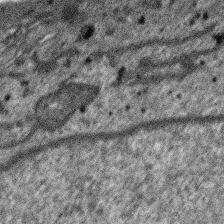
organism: Human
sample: Lung epithelial cells infected with SARS-CoV-2